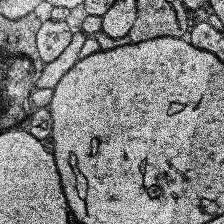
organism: Human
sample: Temporal Lobe